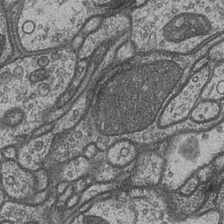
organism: Drosophila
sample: Optic medulla